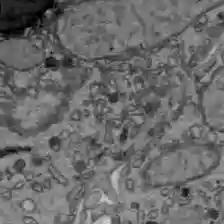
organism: C57BL Mouse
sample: Liver